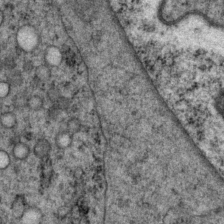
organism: P. pacificus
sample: Pharynx